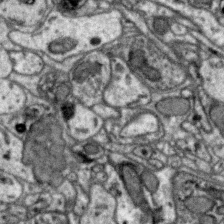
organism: Zebra finch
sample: Brain